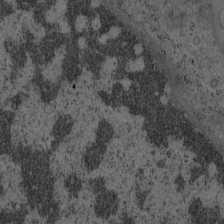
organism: Mouse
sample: OT-I killer T cells with ID8 ovarian cancer cells